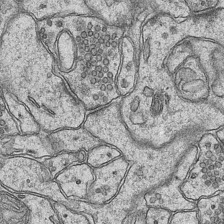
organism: Mouse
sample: CA1 Hippocampus